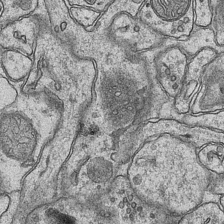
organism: Mouse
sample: CA1 Hippocampus